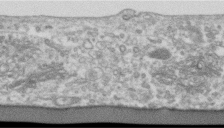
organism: Human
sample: Centriole in RPE cells